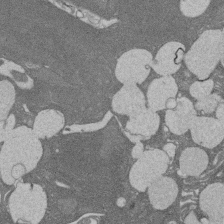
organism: Rat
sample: Salivary granule